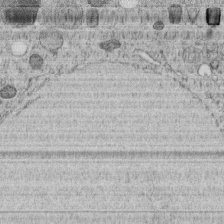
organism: C. elegans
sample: C. elegans embryo early stage